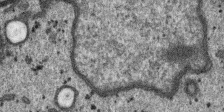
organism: Human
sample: Lung epithelial cells infected with SARS-CoV-2